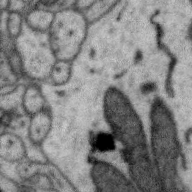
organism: Zebra finch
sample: Brain